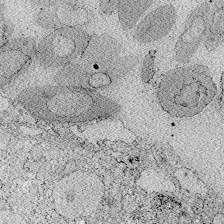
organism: Zebrafish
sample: Whole-Brain